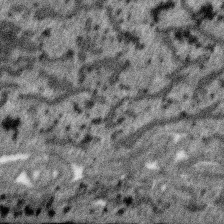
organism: Human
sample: Lung epithelial cells infected with SARS-CoV-2